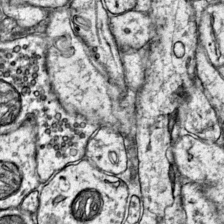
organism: Mouse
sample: Primary visual cortex